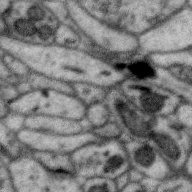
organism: Zebra finch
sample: Brain